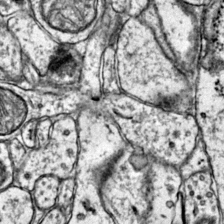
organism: Mouse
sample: Primary visual cortex